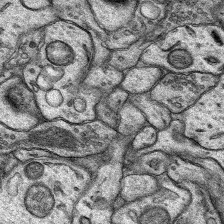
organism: Rat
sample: Hippocampus